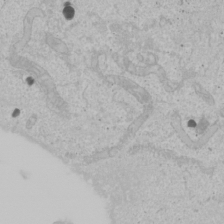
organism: Human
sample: Mitochondria in U2OS cells